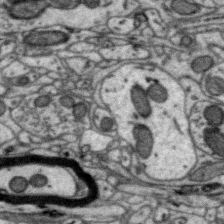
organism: Zebra finch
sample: Brain